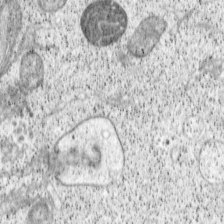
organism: African green monkey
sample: COS-7 cells